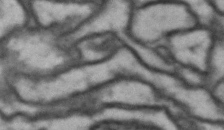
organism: Drosophila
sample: Brain